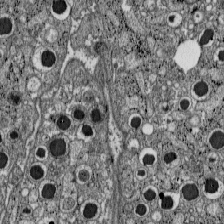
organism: C57BL Mouse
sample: Pancreatic islet